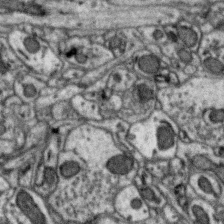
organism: Zebra finch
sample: Brain